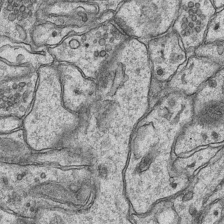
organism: Mouse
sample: CA1 Hippocampus